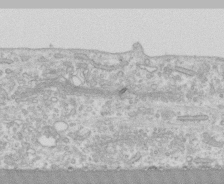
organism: Human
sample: CRL-1474